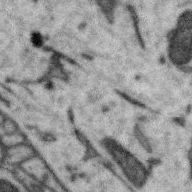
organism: Zebra finch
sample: Brain